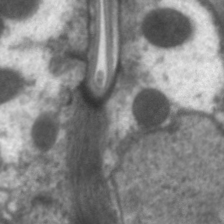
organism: C. elegans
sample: Pharynx